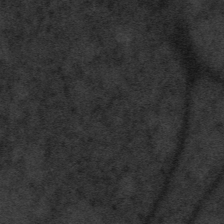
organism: Tuwongella immobilis